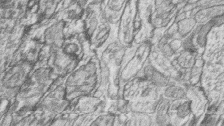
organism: Zebrafish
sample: synaptic ribbons in rod cells and cone cells